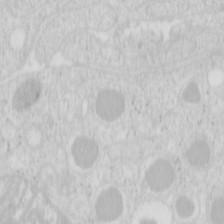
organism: Mouse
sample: Pancreas